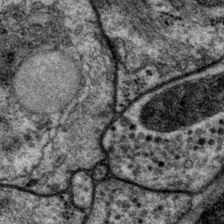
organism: P. pacificus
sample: Pharynx